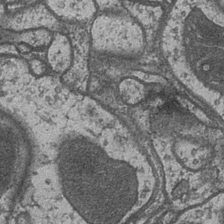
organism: Drosophila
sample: Optic medulla